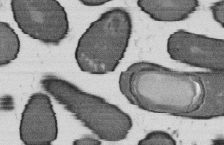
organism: B. subtilis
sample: Bacterial spore